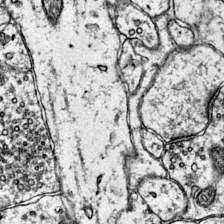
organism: Mouse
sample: Primary visual cortex